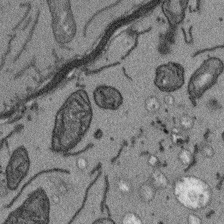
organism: Arabidopsis thaliana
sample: Root tip